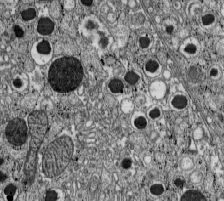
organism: C57BL Mouse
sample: Pancreatic islet